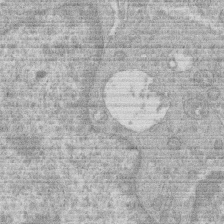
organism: Human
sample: Macrophage cells